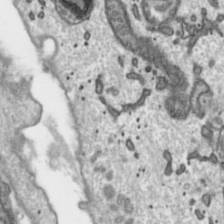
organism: Toxoplasma gondii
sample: Parasites in a vacuole inside a host cell